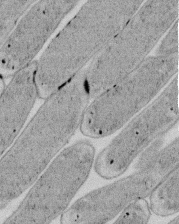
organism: E. coli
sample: Bacterial nucleoid